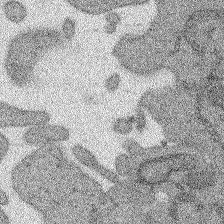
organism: Human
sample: HeLa cells